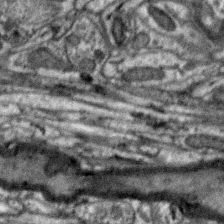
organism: Zebra finch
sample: Brain